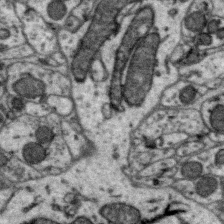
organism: Zebra finch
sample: Brain